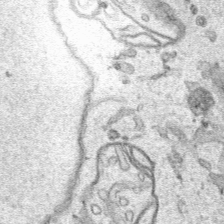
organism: Human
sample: Mitochondria in HCT116 cells